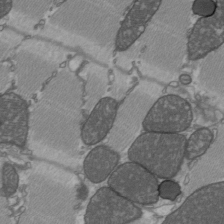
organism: C57BL Mouse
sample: Heart